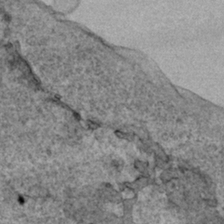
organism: Human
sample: Mitochondria in HCT116 cells